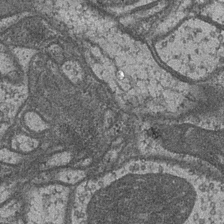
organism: Drosophila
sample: Optic medulla